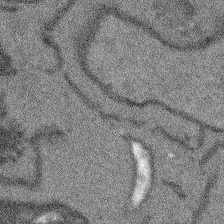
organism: Arabidopsis thaliana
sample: Root tip